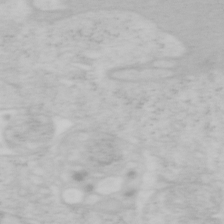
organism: Mouse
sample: OT-I killer T cells with ID8 ovarian cancer cells